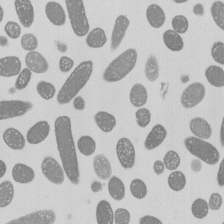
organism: E. coli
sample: Bacterial nucleoid